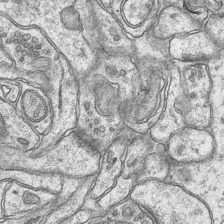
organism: Mouse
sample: CA1 Hippocampus